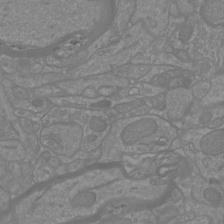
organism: Mouse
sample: Cortical neurons